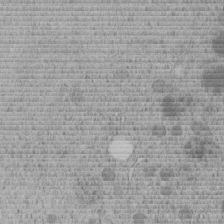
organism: C. elegans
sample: C. elegans embryo early stage